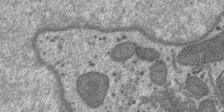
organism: Human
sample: Lung epithelial cells infected with SARS-CoV-2